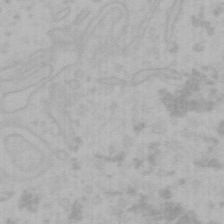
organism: Mouse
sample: Choroid plexus